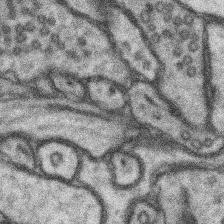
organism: Mouse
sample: Somatosensory cortex neuropil